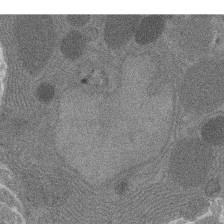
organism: Rat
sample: Salivary granule